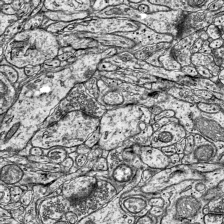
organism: Mouse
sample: Visual Cortex